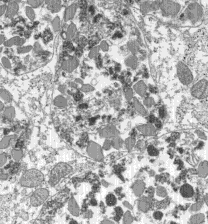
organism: C57BL Mouse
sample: Pancreatic islet